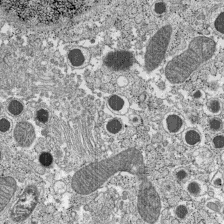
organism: C57BL Mouse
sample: Pancreatic islet